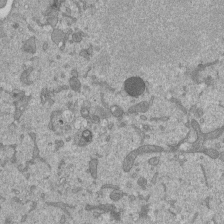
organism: Mouse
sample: ED-1 cell nuclei; centrioles